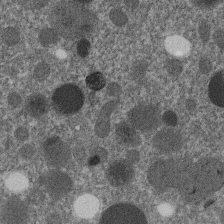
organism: C. elegans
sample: C. elegans embryo early stage